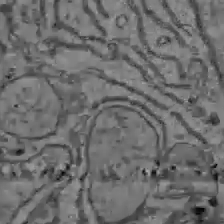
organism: C57BL Mouse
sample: Liver